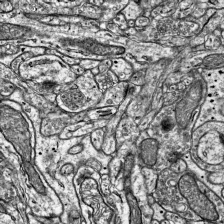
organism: Mouse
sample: Visual Cortex